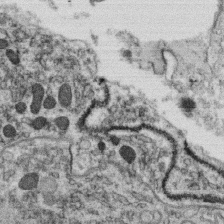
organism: C. elegans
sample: C. elegans oocyte; sperm cells